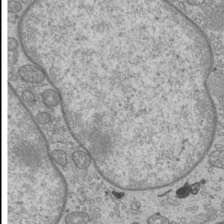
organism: Mouse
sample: Cilia; mouse epididymis